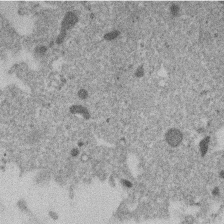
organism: Mouse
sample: Dividing mouse embryo 1 cell stage